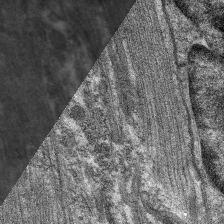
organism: C. elegans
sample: Pharynx